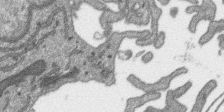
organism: Human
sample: Lung epithelial cells infected with SARS-CoV-2